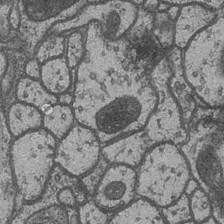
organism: Drosophila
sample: Optic medulla